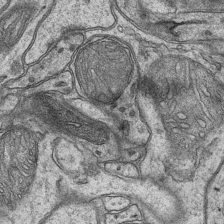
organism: Mouse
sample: CA1 Hippocampus